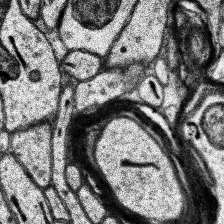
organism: Human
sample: Temporal Lobe